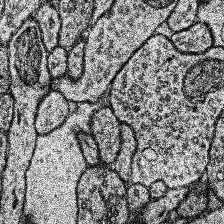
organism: Human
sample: Temporal Lobe